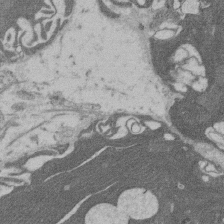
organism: Rat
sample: Salivary granule